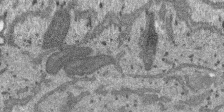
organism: Human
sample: Lung epithelial cells infected with SARS-CoV-2